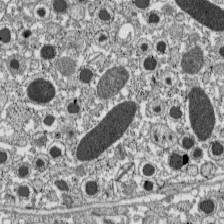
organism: C57BL Mouse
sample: Pancreatic islet